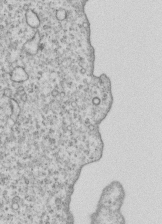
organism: Human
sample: MDA-MB-231 cells